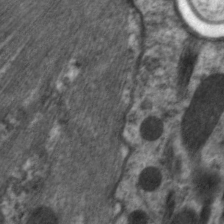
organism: C. elegans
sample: Pharynx